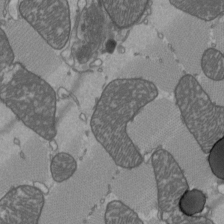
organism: C57BL Mouse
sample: Heart